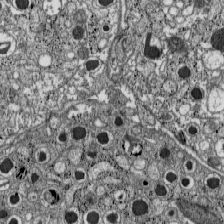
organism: C57BL Mouse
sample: Pancreatic islet